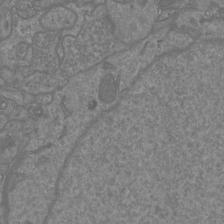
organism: Mouse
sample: Cortical neurons